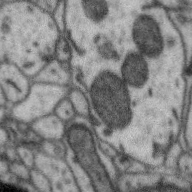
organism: Zebra finch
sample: Brain